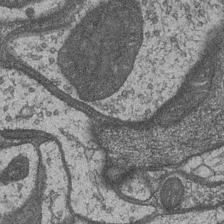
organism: Drosophila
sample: Optic medulla